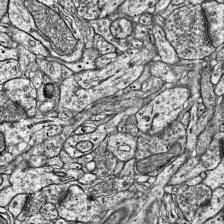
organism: Mouse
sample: Visual Cortex